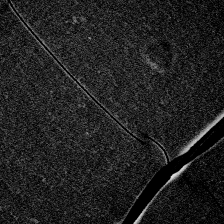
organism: Zebrafish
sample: Whole-Brain